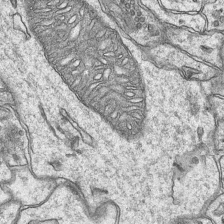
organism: Mouse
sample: CA1 Hippocampus